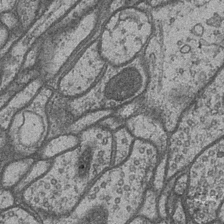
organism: Drosophila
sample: Optic medulla